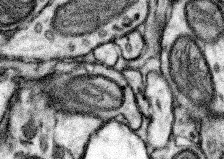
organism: Mouse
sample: Somatosensory cortex neuropil